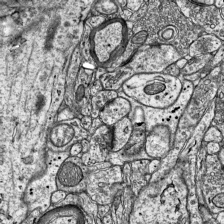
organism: Mouse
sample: Visual Cortex